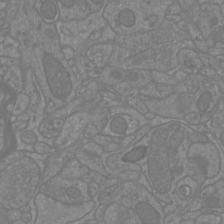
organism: Mouse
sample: Cortical neurons